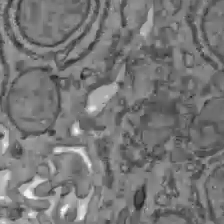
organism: C57BL Mouse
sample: Liver